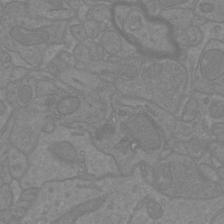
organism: Mouse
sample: Cortical neurons